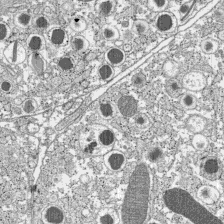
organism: C57BL Mouse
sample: Pancreatic islet